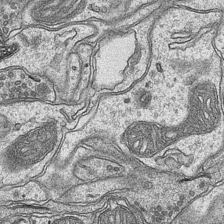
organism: Mouse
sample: CA1 Hippocampus